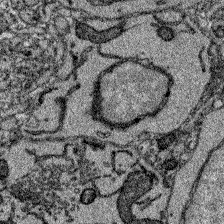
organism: Zebrafish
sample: Larval olfactory bulb